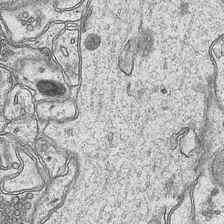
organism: Mouse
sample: CA1 Hippocampus